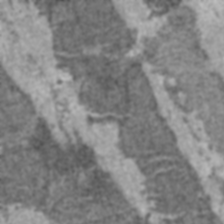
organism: C57BL Mouse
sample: Heart